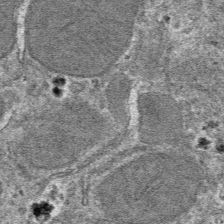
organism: Mouse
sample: Mouse hepatocytes